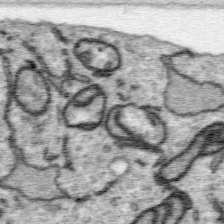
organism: Human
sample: HeLa cells